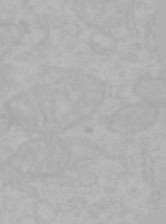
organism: Mouse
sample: Choroid plexus